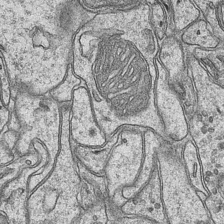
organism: Mouse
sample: CA1 Hippocampus